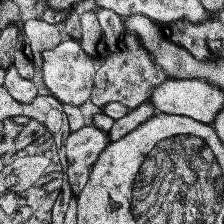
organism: Human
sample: Temporal Lobe